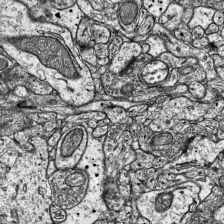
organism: Mouse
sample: Visual Cortex